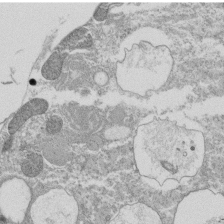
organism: Tetrahymena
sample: Cilia in tetrahymena